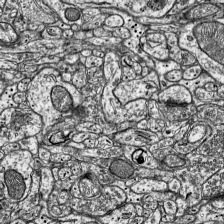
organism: Mouse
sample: Visual Cortex